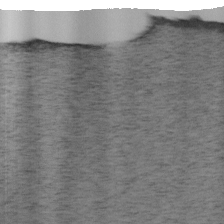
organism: Mouse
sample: OT-I killer T cells with ID8 ovarian cancer cells